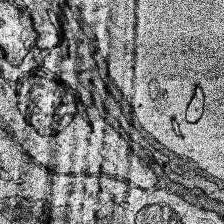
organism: Human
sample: Temporal Lobe